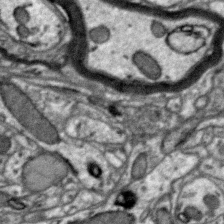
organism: Zebra finch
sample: Brain